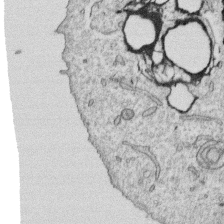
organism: Human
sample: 1205lu cells